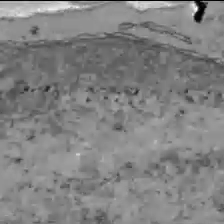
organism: C57BL Mouse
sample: Liver